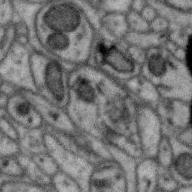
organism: Zebra finch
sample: Brain